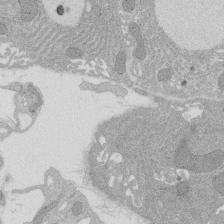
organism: Rat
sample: Salivary granule